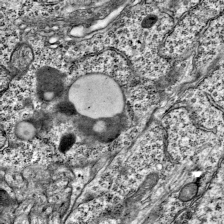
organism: Mouse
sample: Visual Cortex